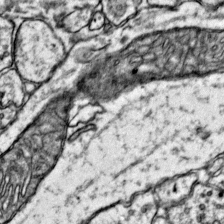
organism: Mouse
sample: Primary visual cortex